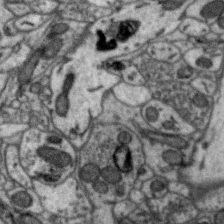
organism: Zebra finch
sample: Brain